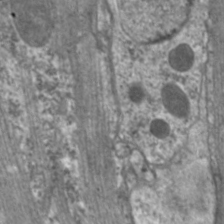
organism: C. elegans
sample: Pharynx